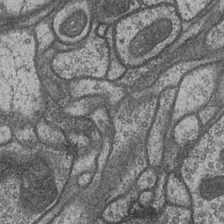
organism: Drosophila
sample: Optic medulla